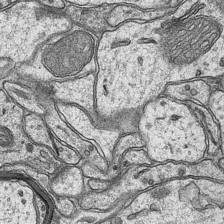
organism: Mouse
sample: CA1 Hippocampus